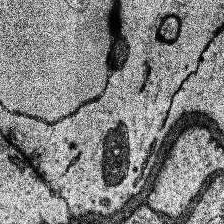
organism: Human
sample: Temporal Lobe